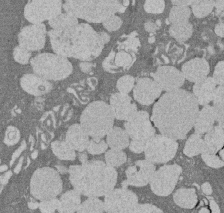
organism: Rat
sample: Salivary granule